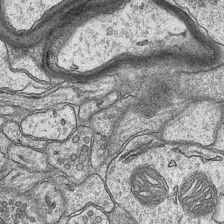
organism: Mouse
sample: CA1 Hippocampus